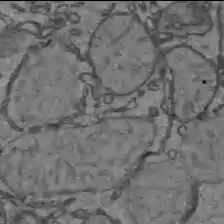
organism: C57BL Mouse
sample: Liver